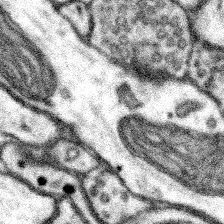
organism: Mouse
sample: Somatosensory cortex neuropil